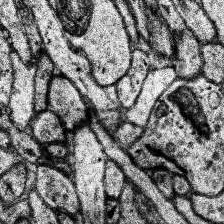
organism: Human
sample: Temporal Lobe